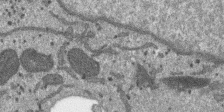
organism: Human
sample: Lung epithelial cells infected with SARS-CoV-2